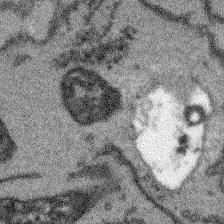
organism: Arabidopsis thaliana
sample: Root tip